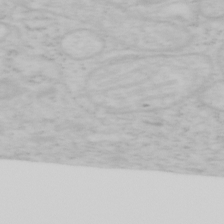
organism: Mouse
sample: OT-I killer T cells with ID8 ovarian cancer cells